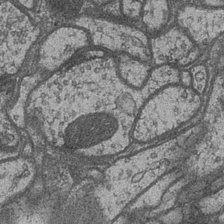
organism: Drosophila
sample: Optic medulla